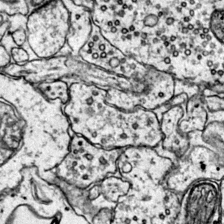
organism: Mouse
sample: Primary visual cortex